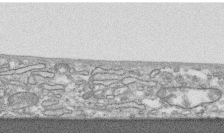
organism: Human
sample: CRL-1474